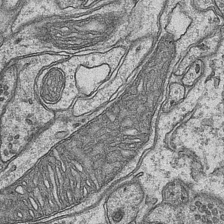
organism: Mouse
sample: CA1 Hippocampus